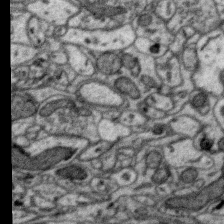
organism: Zebra finch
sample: Brain